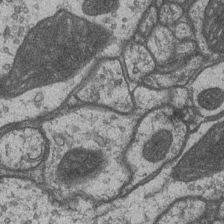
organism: Drosophila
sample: Optic medulla